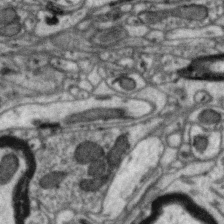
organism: Zebra finch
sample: Brain